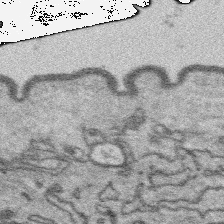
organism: Platynereis dumerilii